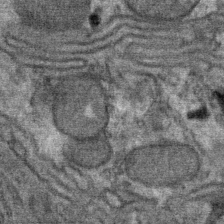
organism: Mouse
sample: Mouse Salivary gland